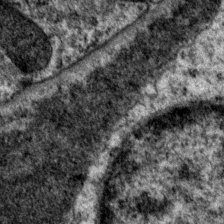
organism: P. pacificus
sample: Pharynx